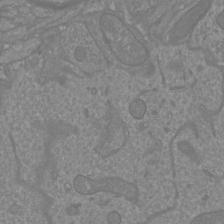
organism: Mouse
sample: Cortical neurons